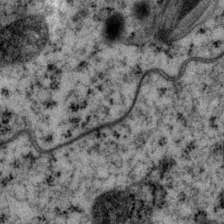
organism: P. pacificus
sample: Pharynx